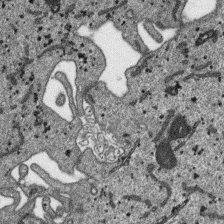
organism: Human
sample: Lung epithelial cells infected with SARS-CoV-2